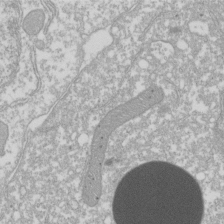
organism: Xenopus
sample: Cilia; centrioles in frog embryo cells